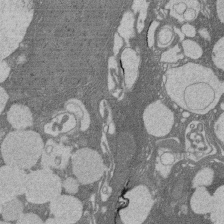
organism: Rat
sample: Salivary granule